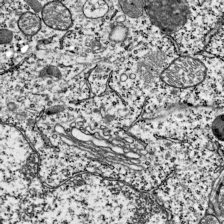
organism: Mouse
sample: Visual Cortex